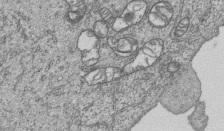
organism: Human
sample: MDA-MB-231 cells